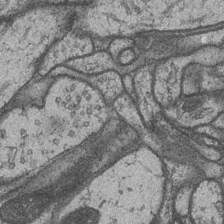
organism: Drosophila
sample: Optic medulla